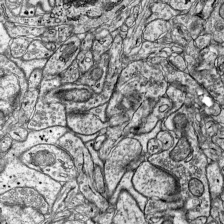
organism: Mouse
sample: Visual Cortex